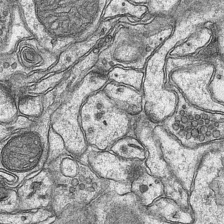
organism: Mouse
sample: CA1 Hippocampus